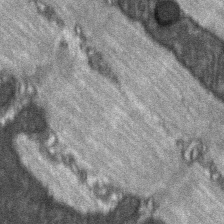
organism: C57BL Mouse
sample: Soleus